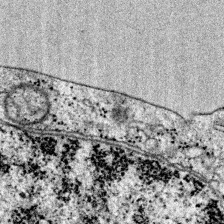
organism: Human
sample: HeLa cells